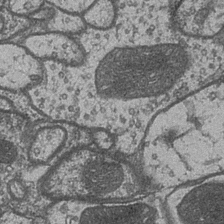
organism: Drosophila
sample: Optic medulla